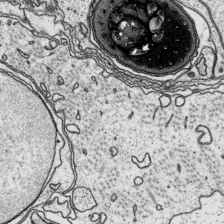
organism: Platynereis dumerilii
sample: Parapodia